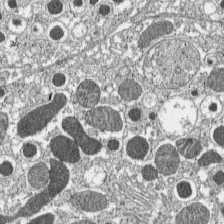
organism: C57BL Mouse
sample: Pancreatic islet